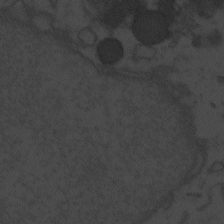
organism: Zebrafish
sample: Macrophage infected with Toxoplasma gondii